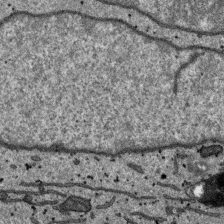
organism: Human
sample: Lung epithelial cells, uninfected (mock) control